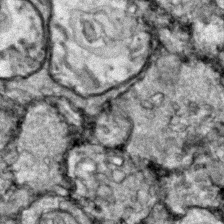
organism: Zebrafish